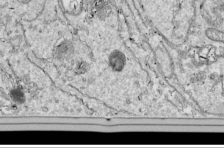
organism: Drosophila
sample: Cell division; meiosis; drosophila spermatocytes